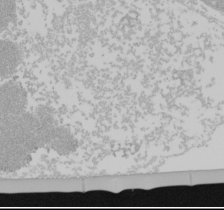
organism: Mouse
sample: Cancer cell death in ED-1 cells